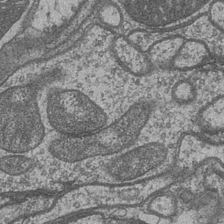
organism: Drosophila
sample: Optic medulla